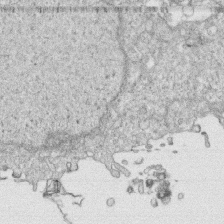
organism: Human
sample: HeLa cell HIV synapse